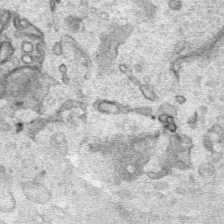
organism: Human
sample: Mitochondria in HCT116 cells